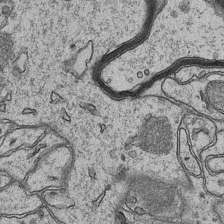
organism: Mouse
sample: CA1 Hippocampus